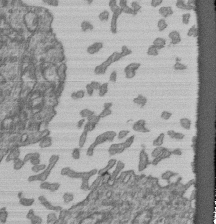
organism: Human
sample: Retinal organoid Rod and Cone cells